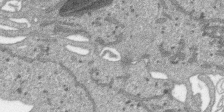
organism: Human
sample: Lung epithelial cells infected with SARS-CoV-2